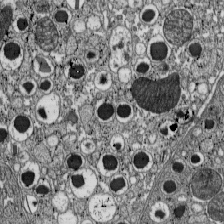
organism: C57BL Mouse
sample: Pancreatic islet